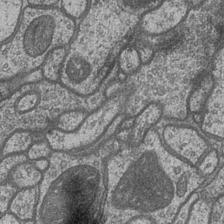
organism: Drosophila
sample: Optic medulla